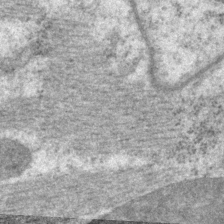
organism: P. pacificus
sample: Pharynx